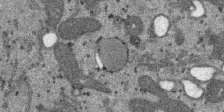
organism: Human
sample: Lung epithelial cells infected with SARS-CoV-2